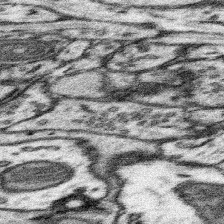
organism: Mouse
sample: Somatosensory cortex neuropil